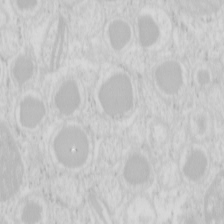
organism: Mouse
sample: Pancreas